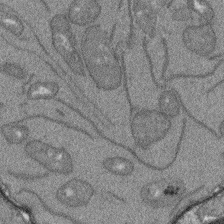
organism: Arabidopsis thaliana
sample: Root tip